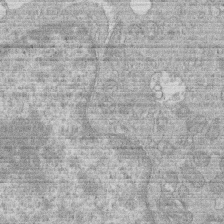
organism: Human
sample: Macrophage cells